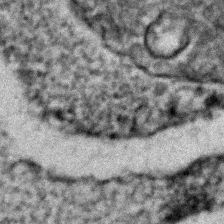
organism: C. elegans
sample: C. elegans embryo